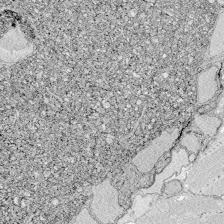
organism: Zebrafish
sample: Whole-Brain